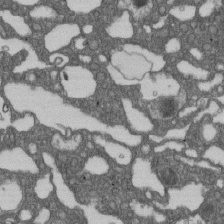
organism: Drosophila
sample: Nephrocyte